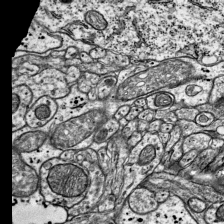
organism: Mouse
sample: Visual Cortex